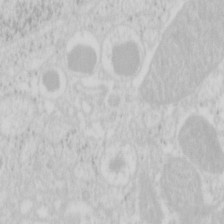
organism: Mouse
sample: Pancreas